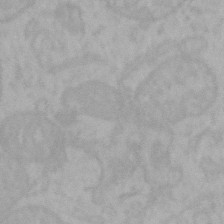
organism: Mouse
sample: Choroid plexus